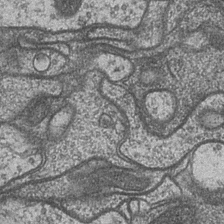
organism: Drosophila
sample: Optic medulla